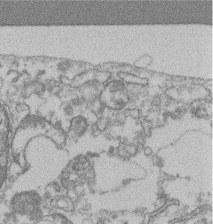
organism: Mouse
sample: T cell stromal cell synapse